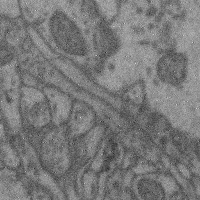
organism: Mouse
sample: Cerebral cortex